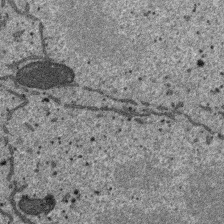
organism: Human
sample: Lung epithelial cells infected with SARS-CoV-2